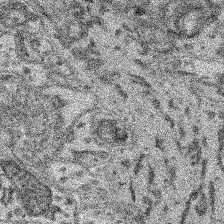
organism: Mouse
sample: Retina